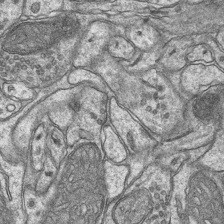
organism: Mouse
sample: CA1 Hippocampus